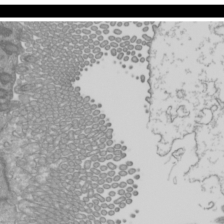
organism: Mouse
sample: Cilia; mouse epididymis